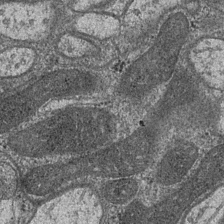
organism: Drosophila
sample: Optic medulla